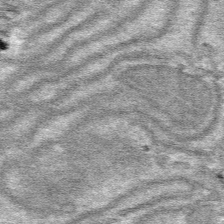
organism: Mouse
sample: Mouse hepatocytes